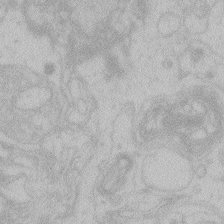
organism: Zebrafish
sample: Macrophage infected with Toxoplasma gondii